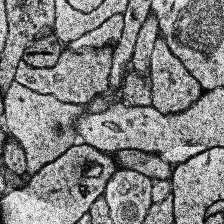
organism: Human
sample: Temporal Lobe